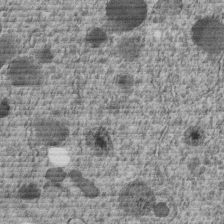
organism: C. elegans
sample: C. elegans embryo early stage